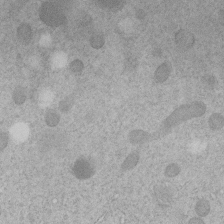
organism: C. elegans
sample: C. elegans embryo early stage